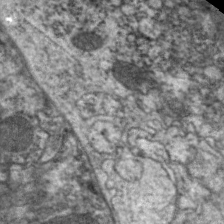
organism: C. elegans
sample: Pharynx